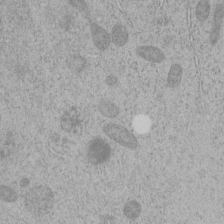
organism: C. elegans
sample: C. elegans embryo early stage